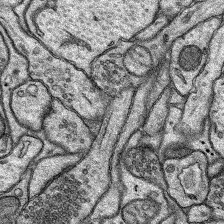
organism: Rat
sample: Hippocampus